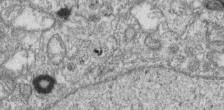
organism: Human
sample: HeLa cell HIV synapse